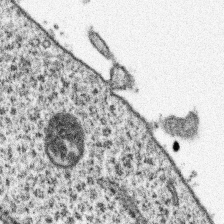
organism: Human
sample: HeLa cells